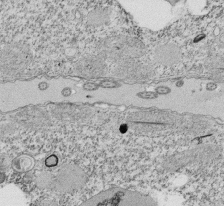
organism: Tetrahymena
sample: Cilia in tetrahymena